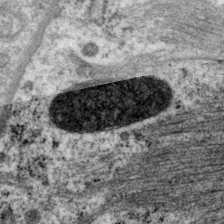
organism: P. pacificus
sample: Pharynx